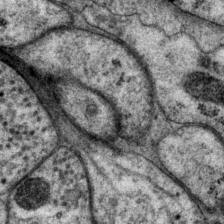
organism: P. pacificus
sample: Pharynx